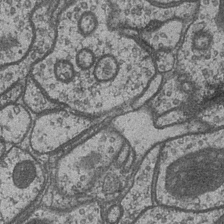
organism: Drosophila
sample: Optic medulla